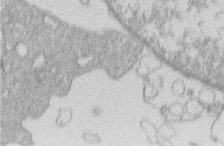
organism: Human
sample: Macrophage cells